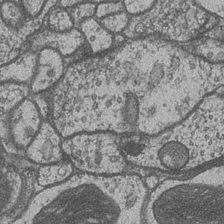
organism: Drosophila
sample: Optic medulla